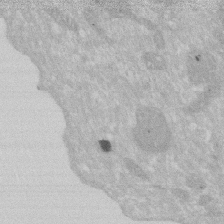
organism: Human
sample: HIV infected U937 cells